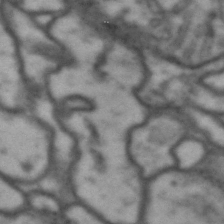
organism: Drosophila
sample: Brain